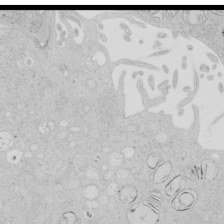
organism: Human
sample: Mitochondria in HCT116 cells